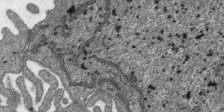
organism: Human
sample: Lung epithelial cells infected with SARS-CoV-2